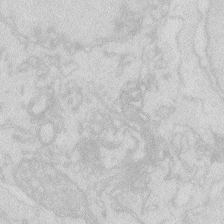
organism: Zebrafish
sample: Macrophage